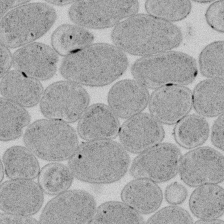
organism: E. coli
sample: Bacterial nucleoid